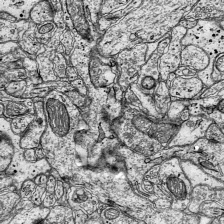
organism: Mouse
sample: Visual Cortex